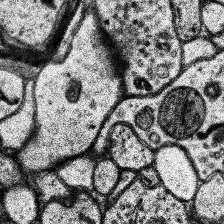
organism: Human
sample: Temporal Lobe